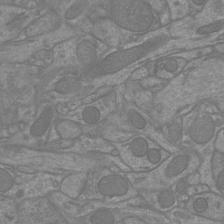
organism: Mouse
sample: Cortical neurons